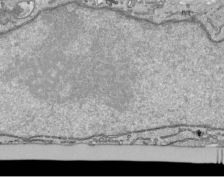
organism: Human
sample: Mitochondria in HCT116 cells